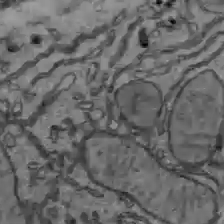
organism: C57BL Mouse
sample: Liver